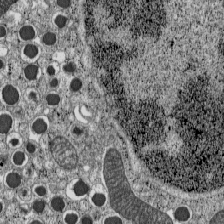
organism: C57BL Mouse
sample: Pancreatic islet